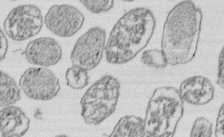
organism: E. coli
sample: Bacterial nucleoid